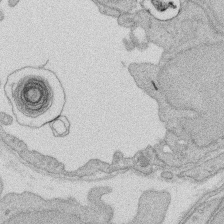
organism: Rat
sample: Salivary granule